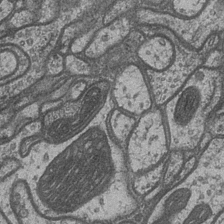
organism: Drosophila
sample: Optic medulla